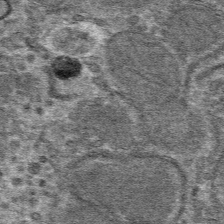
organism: Mouse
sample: Mouse hepatocytes